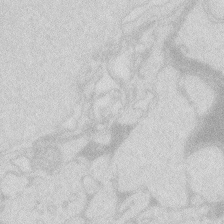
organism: Zebrafish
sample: Macrophage